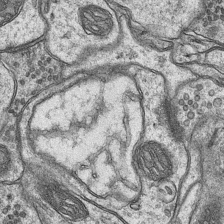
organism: Mouse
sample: CA1 Hippocampus